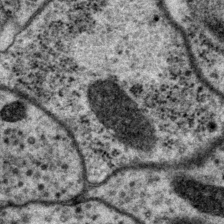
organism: P. pacificus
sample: Pharynx